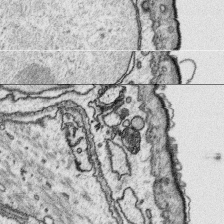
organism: Platynereis dumerilii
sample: Parapodia